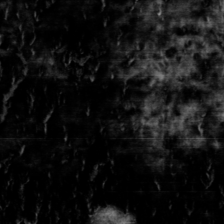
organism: Toxoplasma gondii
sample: Parasites in a vacuole inside a host cell